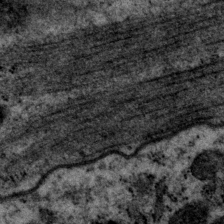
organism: P. pacificus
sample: Pharynx